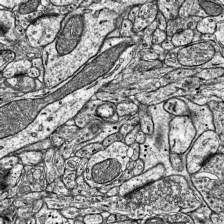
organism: Mouse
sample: Visual Cortex